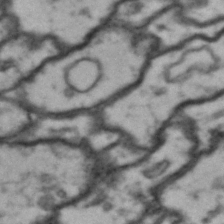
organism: Drosophila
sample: Brain